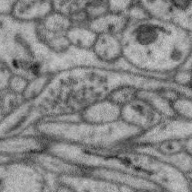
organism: Zebra finch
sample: Brain